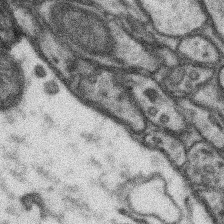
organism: Mouse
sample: Somatosensory cortex neuropil